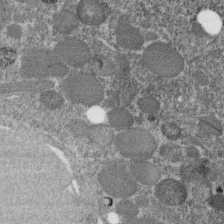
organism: C. elegans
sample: C. elegans embryo early stage